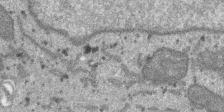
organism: Human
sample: Lung epithelial cells infected with SARS-CoV-2